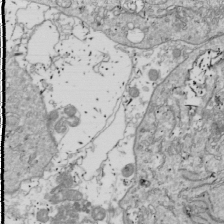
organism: Drosophila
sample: Cell division; meiosis; drosophila spermatocytes